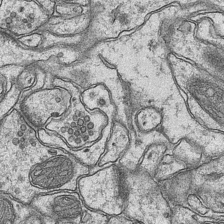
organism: Mouse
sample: CA1 Hippocampus